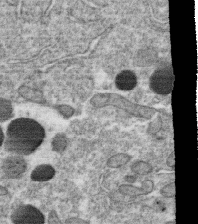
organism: C. elegans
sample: C. elegans oocyte; sperm cells